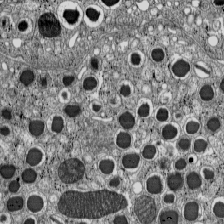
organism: C57BL Mouse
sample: Pancreatic islet